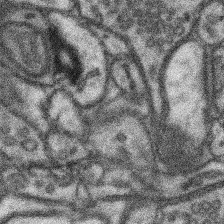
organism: Mouse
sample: Somatosensory cortex neuropil